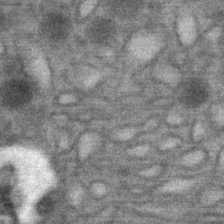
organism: Mouse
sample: Mouse Salivary gland